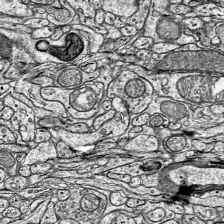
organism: Mouse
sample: Visual Cortex